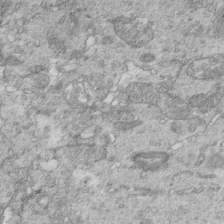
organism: Mouse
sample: Multiciliated cells